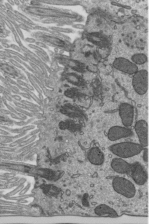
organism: Mouse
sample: Mouse epididymis efferent ductule cilia